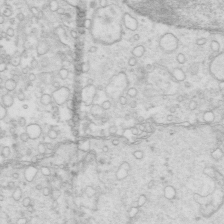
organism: Mouse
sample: Multiciliated cells